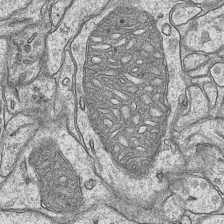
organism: Mouse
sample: CA1 Hippocampus